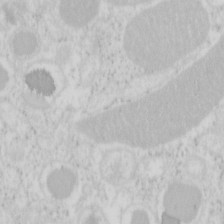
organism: Mouse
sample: Pancreas